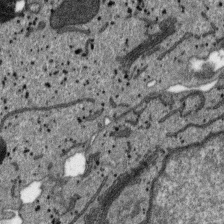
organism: Human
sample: Lung epithelial cells, uninfected (mock) control